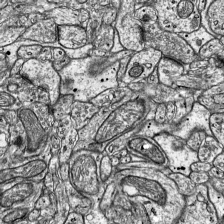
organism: Mouse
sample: Visual Cortex